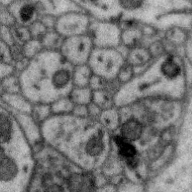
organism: Zebra finch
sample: Brain